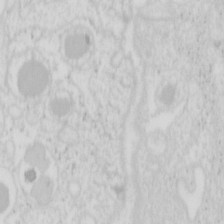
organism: Mouse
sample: Pancreas